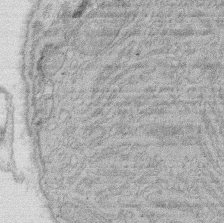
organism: Rat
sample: Salivary granule